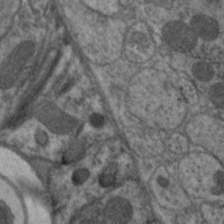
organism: C. elegans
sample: Pharynx